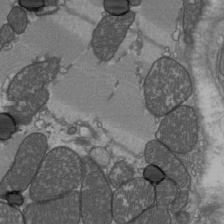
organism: C57BL Mouse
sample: Heart